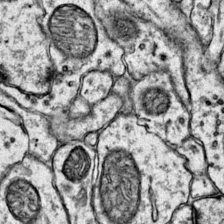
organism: Mouse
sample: Primary visual cortex